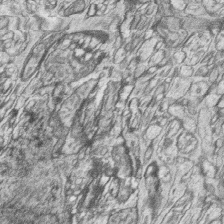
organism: Zebrafish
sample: synaptic ribbons in rod cells and cone cells